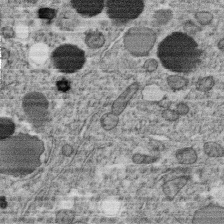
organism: C. elegans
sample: C. elegans oocyte; sperm cells